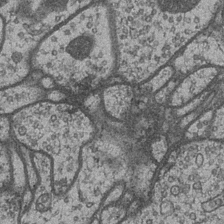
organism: Drosophila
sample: Optic medulla